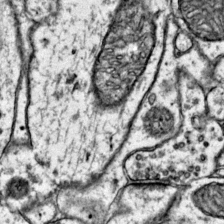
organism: Mouse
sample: Primary visual cortex